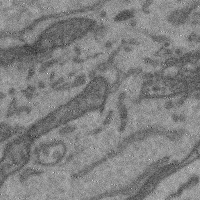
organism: Mouse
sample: Cerebral cortex